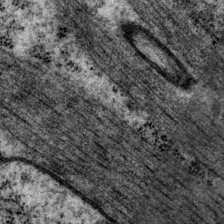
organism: P. pacificus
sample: Pharynx